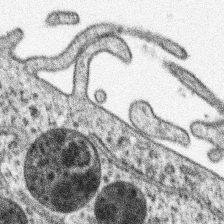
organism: Human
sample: HeLa cells